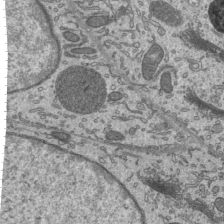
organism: Mouse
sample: Mouse epididymis efferent ductule cilia